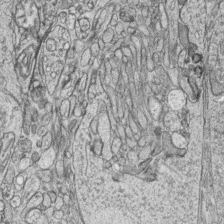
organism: Zebrafish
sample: synaptic ribbons in rod cells and cone cells